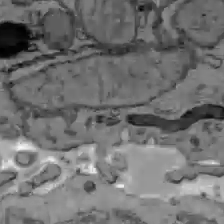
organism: C57BL Mouse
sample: Liver